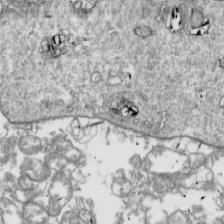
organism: Drosophila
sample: Cell division; meiosis; drosophila spermatocytes